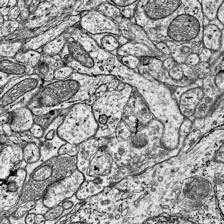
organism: Mouse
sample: Visual Cortex